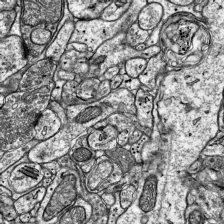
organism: Mouse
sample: Visual Cortex